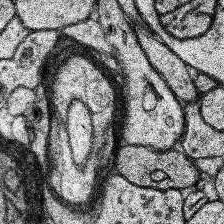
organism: Human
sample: Temporal Lobe